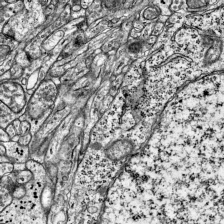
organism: Mouse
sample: Visual Cortex